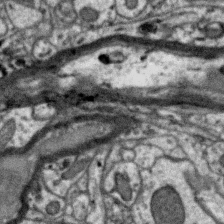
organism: Zebra finch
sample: Brain